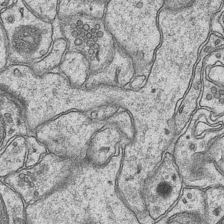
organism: Mouse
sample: CA1 Hippocampus